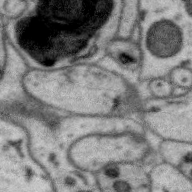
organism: Zebra finch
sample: Brain